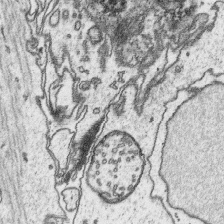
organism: Platynereis dumerilii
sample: Parapodia